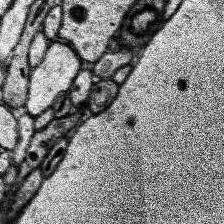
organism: Human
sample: Temporal Lobe